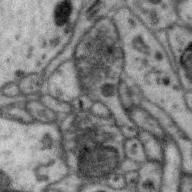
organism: Zebra finch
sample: Brain